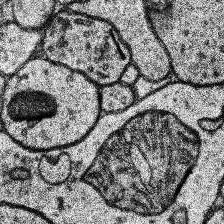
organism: Human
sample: Temporal Lobe